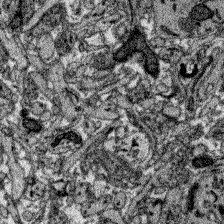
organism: Zebrafish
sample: Larval olfactory bulb